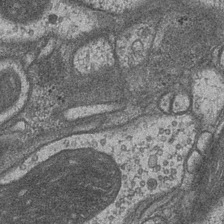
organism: Drosophila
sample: Optic medulla